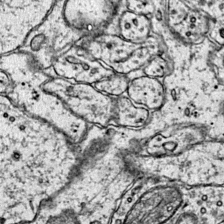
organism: Mouse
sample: Primary visual cortex